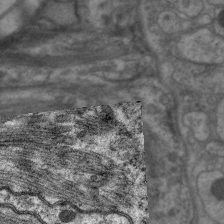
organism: C. elegans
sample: Pharynx